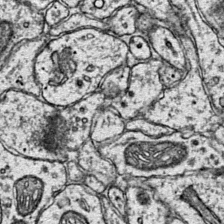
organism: Mouse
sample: Primary visual cortex